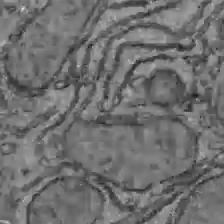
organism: C57BL Mouse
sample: Liver